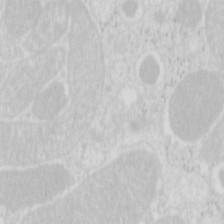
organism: Mouse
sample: Pancreas